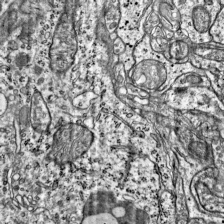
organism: Mouse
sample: Visual Cortex